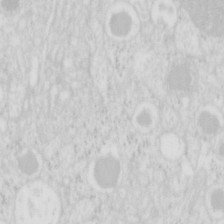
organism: Mouse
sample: Pancreas